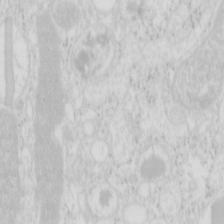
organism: Mouse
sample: Pancreas